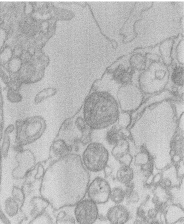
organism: Human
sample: Macrophage cells